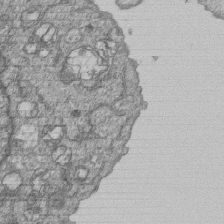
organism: Human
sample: MDA-MB-231 cells